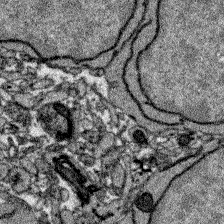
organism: Zebrafish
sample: Larval olfactory bulb